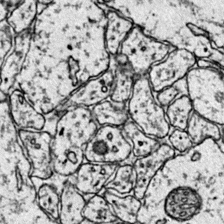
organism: Mouse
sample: Primary visual cortex